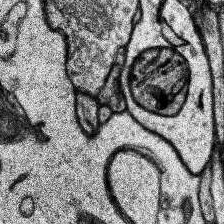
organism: Human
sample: Temporal Lobe